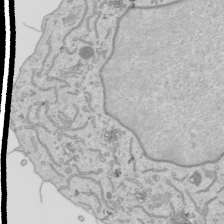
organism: Human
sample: Mitochondria in HCT116 cells